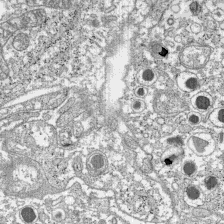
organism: C57BL Mouse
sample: Pancreatic islet